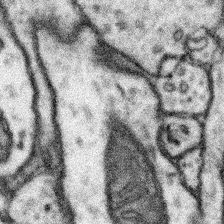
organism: Mouse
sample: Somatosensory cortex neuropil